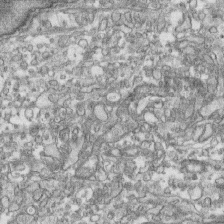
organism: Human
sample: CRL-1474